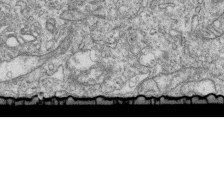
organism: Human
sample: HeLa cell HIV synapse